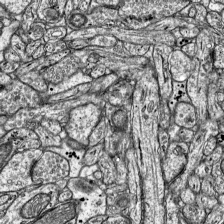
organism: Mouse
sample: Visual Cortex